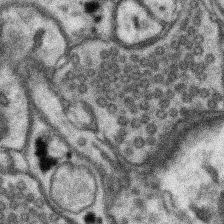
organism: Mouse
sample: Somatosensory cortex neuropil